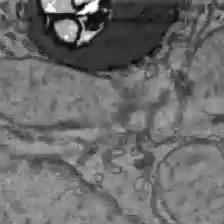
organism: C57BL Mouse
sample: Liver